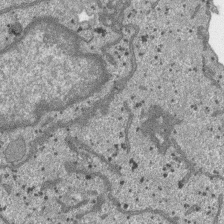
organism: Human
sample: Lung epithelial cells infected with SARS-CoV-2